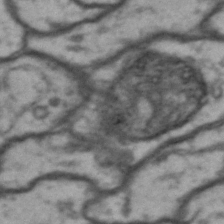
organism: Drosophila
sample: Brain